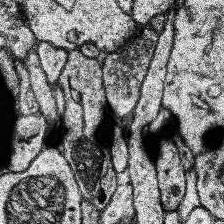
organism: Human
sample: Temporal Lobe